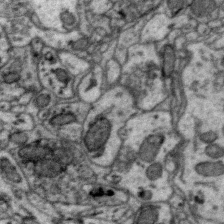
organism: Zebra finch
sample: Brain